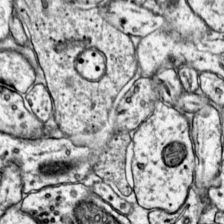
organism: Mouse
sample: Primary visual cortex